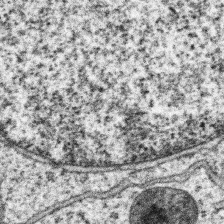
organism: Human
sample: HeLa cells